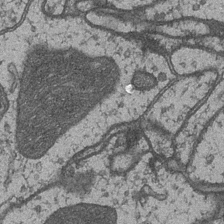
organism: Drosophila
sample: Optic medulla